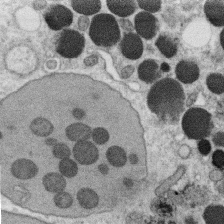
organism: C. elegans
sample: C. elegans oocyte; sperm cells